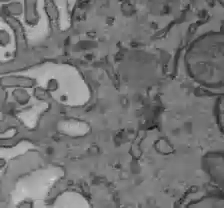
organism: C57BL Mouse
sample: Liver